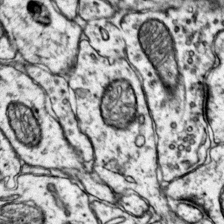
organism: Mouse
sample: Primary visual cortex